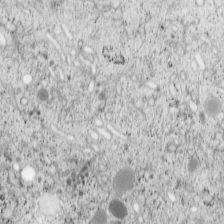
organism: African green monkey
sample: COS-7 cells